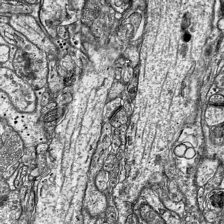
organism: Mouse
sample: Visual Cortex